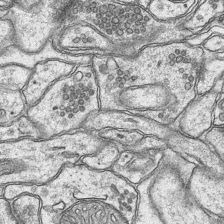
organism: Mouse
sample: CA1 Hippocampus